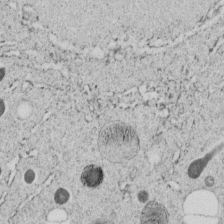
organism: C. elegans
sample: C. elegans embryo early stage